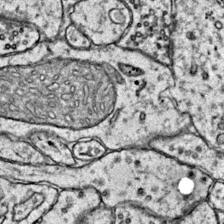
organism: Mouse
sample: Primary visual cortex